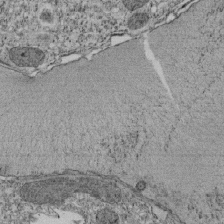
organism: Tetrahymena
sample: Cilia in tetrahymena